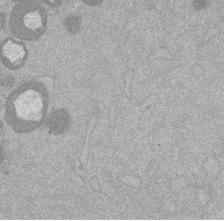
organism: Mouse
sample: Dividing mouse embryo 1 cell stage